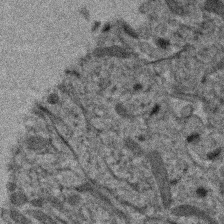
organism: Human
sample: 1205lu cells